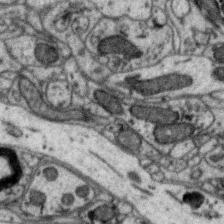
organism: Zebra finch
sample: Brain